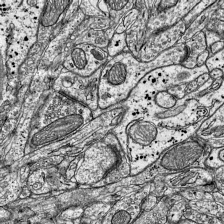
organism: Mouse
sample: Visual Cortex